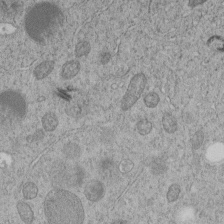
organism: C. elegans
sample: C. elegans embryo early stage